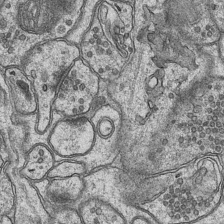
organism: Mouse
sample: CA1 Hippocampus